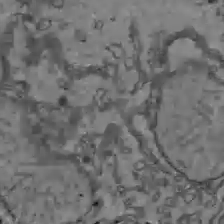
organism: C57BL Mouse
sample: Liver